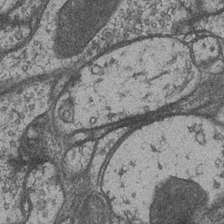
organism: Drosophila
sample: Optic medulla